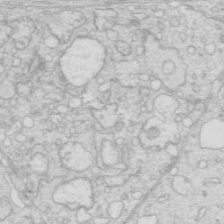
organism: Mouse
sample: Multiciliated cells